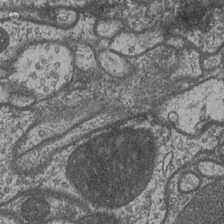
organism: Drosophila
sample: Optic medulla